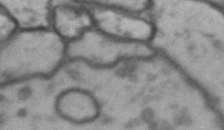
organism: Drosophila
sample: Brain